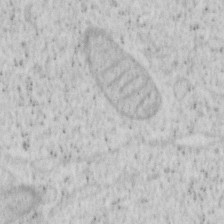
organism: Human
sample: HeLa cells